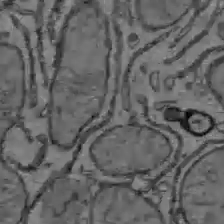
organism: C57BL Mouse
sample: Liver